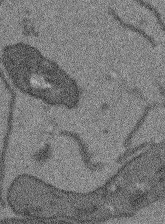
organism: Arabidopsis thaliana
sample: Root tip